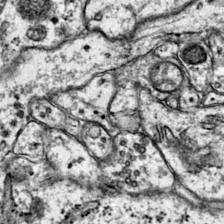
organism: Mouse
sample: Primary visual cortex